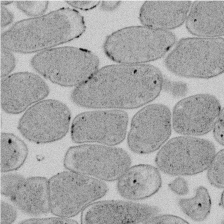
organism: E. coli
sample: Bacterial nucleoid